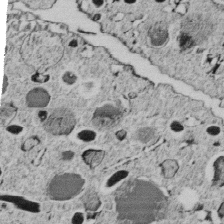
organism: C. elegans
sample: C. elegans embryo early stage